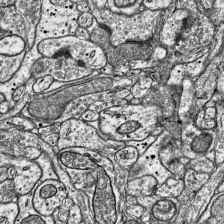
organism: Mouse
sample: Visual Cortex